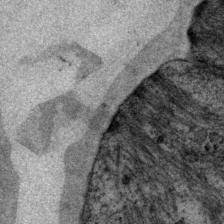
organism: P. pacificus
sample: Pharynx